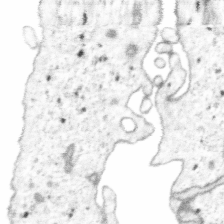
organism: Human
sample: HeLa cells